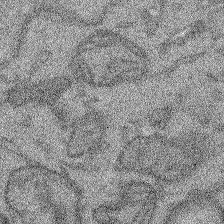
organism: Human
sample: HeLa cells